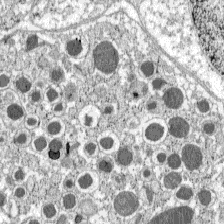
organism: C57BL Mouse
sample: Pancreatic islet